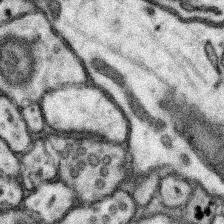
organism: Mouse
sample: Somatosensory cortex neuropil